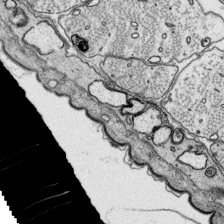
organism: Platynereis dumerilii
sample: Parapodia